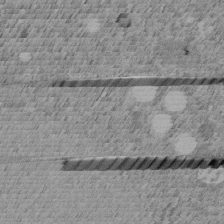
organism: C. elegans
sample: C. elegans embryo early stage